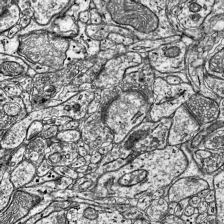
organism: Mouse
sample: Visual Cortex